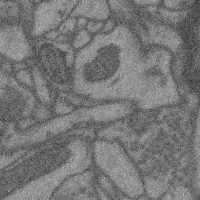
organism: Mouse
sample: Cerebral cortex